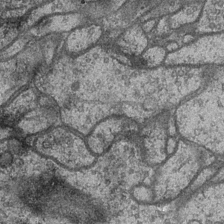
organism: Drosophila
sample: Optic medulla